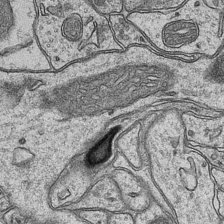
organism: Mouse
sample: CA1 Hippocampus